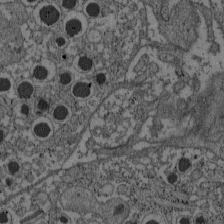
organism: C57BL Mouse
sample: Pancreatic islet